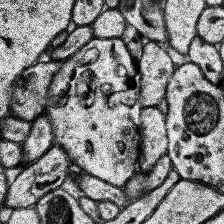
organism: Human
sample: Temporal Lobe